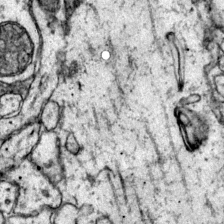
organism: Mouse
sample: Primary visual cortex